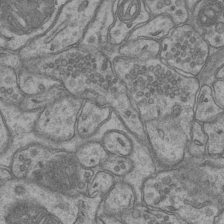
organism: Mouse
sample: CA1 Hippocampus